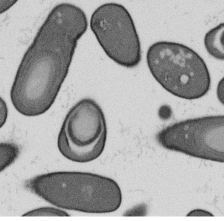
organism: B. subtilis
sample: Bacterial spore